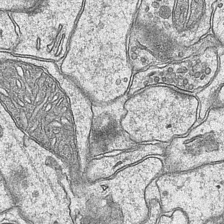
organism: Mouse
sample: CA1 Hippocampus